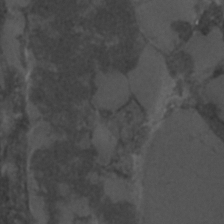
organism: C. elegans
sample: C. elegans embryo